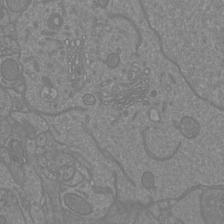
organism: Mouse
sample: Cortical neurons